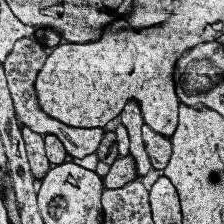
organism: Human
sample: Temporal Lobe